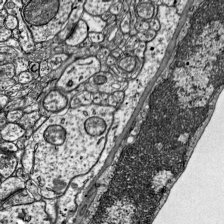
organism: Mouse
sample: Visual Cortex